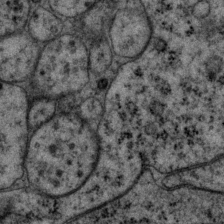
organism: P. pacificus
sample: Pharynx